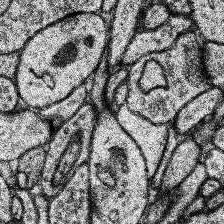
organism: Human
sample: Temporal Lobe